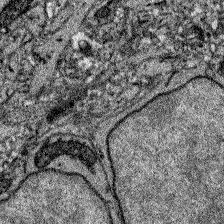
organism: Zebrafish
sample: Larval olfactory bulb